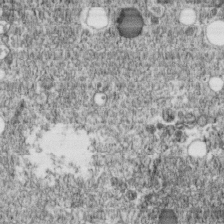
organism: C. elegans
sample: C. elegans embryo early stage